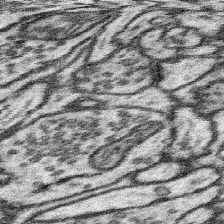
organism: Mouse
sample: Somatosensory cortex neuropil